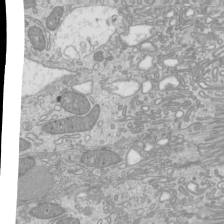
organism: Mouse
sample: Cilia; mouse epididymis